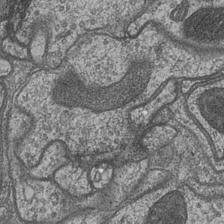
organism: Drosophila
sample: Optic medulla